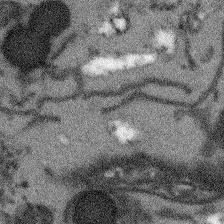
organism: Arabidopsis thaliana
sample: Root tip